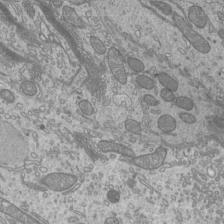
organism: Mouse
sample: Cilia; mouse epididymis